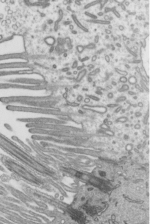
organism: Mouse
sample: Mouse epididymis efferent ductule cilia